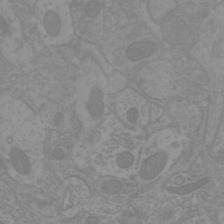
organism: Mouse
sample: Cortical neurons